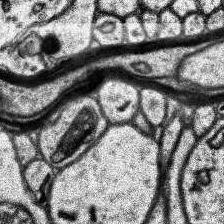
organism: Human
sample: Temporal Lobe